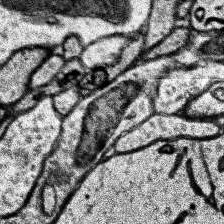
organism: Human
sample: Temporal Lobe